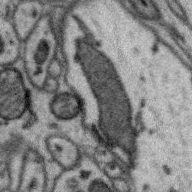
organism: Zebra finch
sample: Brain